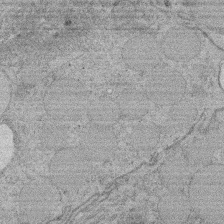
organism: Rat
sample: Salivary granule